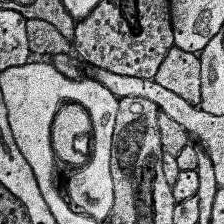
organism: Human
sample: Temporal Lobe